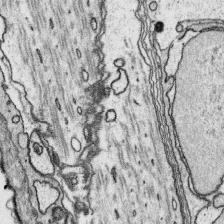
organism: Platynereis dumerilii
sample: Parapodia